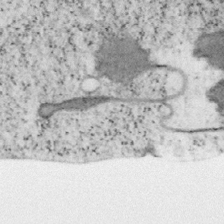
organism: Mouse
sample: OT-I killer T cells with ID8 ovarian cancer cells